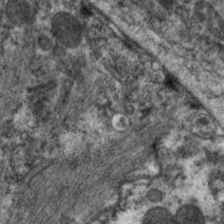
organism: C. elegans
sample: Pharynx